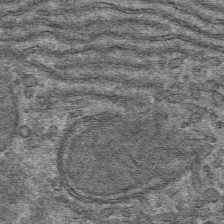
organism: Mouse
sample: Mouse hepatocytes